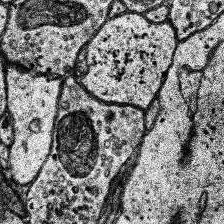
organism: Human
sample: Temporal Lobe